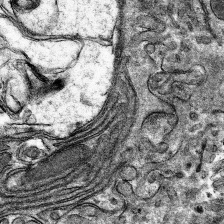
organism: Mouse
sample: Mouse hepatocytes